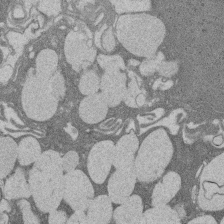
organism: Rat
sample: Salivary granule